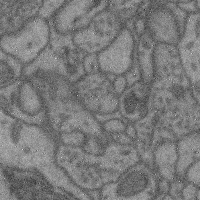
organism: Mouse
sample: Cerebral cortex